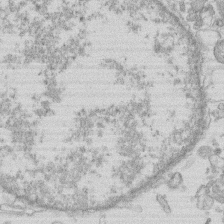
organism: Human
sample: Macrophage cells